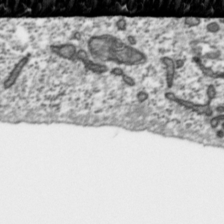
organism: Toxoplasma gondii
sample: Parasites in a vacuole inside a host cell